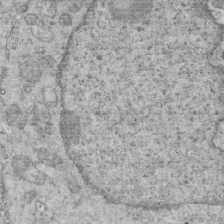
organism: Mouse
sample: Multiciliated cells